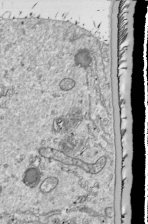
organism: Drosophila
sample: Cell division; meiosis; drosophila spermatocytes